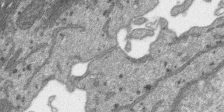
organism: Human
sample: Lung epithelial cells infected with SARS-CoV-2